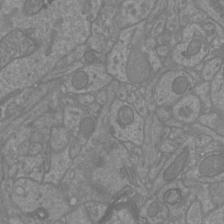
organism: Mouse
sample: Cortical neurons